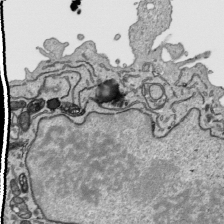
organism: Human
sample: Mitochondria in HCT116 cells